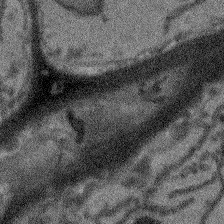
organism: Arabidopsis thaliana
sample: Root tip